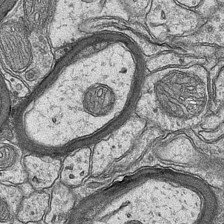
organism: Mouse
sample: CA1 Hippocampus